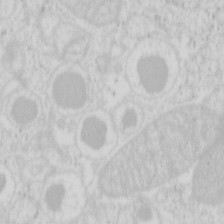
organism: Mouse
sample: Pancreas